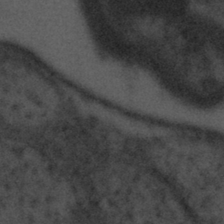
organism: Tuwongella immobilis